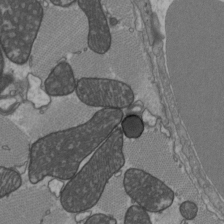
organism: C57BL Mouse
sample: Heart